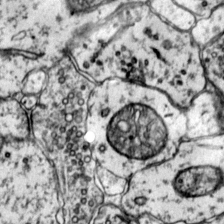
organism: Mouse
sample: Primary visual cortex